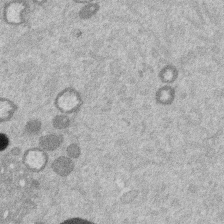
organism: Mouse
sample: Dividing mouse embryo 1 cell stage